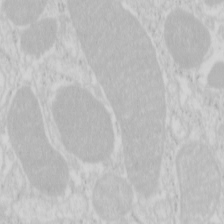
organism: Mouse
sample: Pancreas